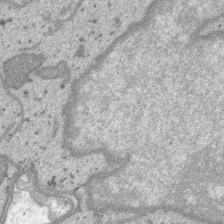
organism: Human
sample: Lung epithelial cells infected with SARS-CoV-2